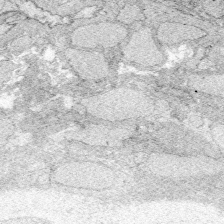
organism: Zebrafish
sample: Whole-Brain